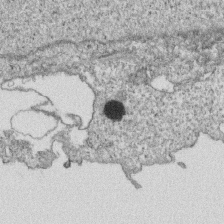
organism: Human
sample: HeLa cell HIV synapse